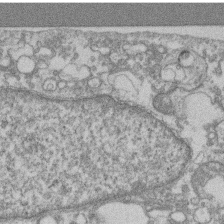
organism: Mouse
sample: T cell stromal cell synapse